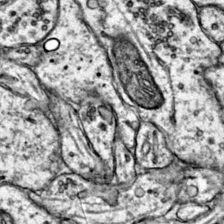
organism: Mouse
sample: Primary visual cortex